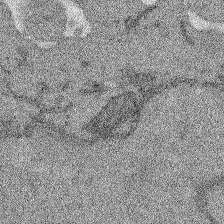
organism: Human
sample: HeLa cells